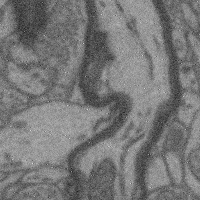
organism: Mouse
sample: Cerebral cortex